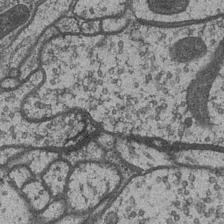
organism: Drosophila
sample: Optic medulla